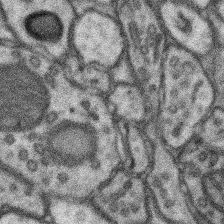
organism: Mouse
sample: Somatosensory cortex neuropil